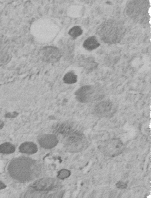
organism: C. elegans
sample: C. elegans embryo early stage